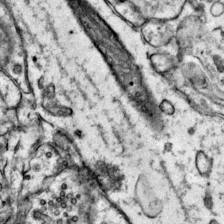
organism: Mouse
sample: Primary visual cortex